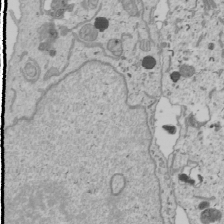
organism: Human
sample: Mitochondria in U2OS cells